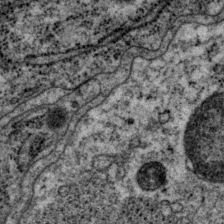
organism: P. pacificus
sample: Pharynx